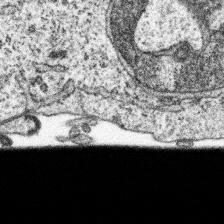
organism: Human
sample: HeLa cells